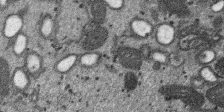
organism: Human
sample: Lung epithelial cells infected with SARS-CoV-2